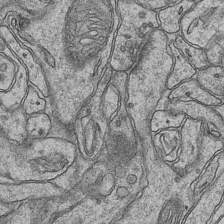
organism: Mouse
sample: CA1 Hippocampus